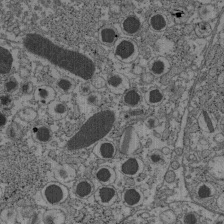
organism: C57BL Mouse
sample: Pancreatic islet